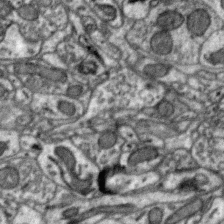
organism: Zebra finch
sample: Brain